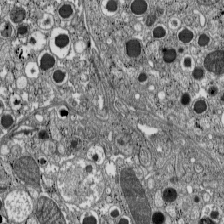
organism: C57BL Mouse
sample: Pancreatic islet